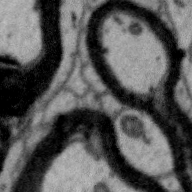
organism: Zebra finch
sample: Brain